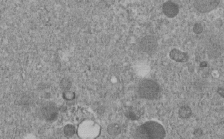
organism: C. elegans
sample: C. elegans embryo early stage